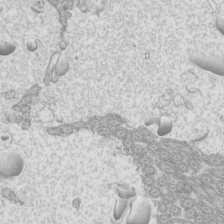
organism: Mouse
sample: Cilia; mouse epididymis